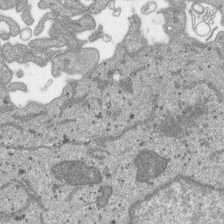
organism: Human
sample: Lung epithelial cells infected with SARS-CoV-2